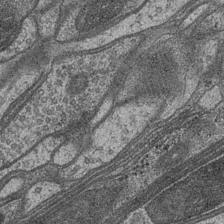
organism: Drosophila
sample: Optic medulla